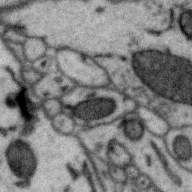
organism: Zebra finch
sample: Brain